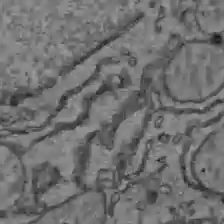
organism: C57BL Mouse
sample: Liver